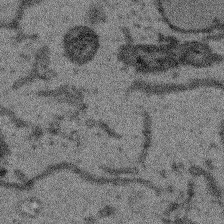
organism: Arabidopsis thaliana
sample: Root tip